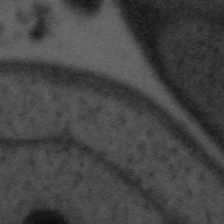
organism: Tuwongella immobilis